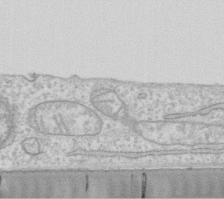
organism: Human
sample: Fibroblast cells